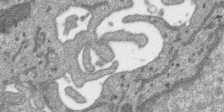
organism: Human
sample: Lung epithelial cells infected with SARS-CoV-2